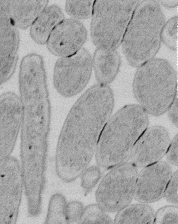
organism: E. coli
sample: Bacterial nucleoid